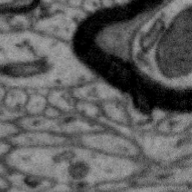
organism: Zebra finch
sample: Brain